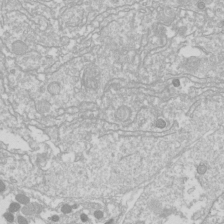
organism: Drosophila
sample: Cell division; meiosis; drosophila spermatocytes